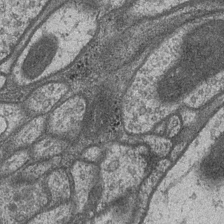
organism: Drosophila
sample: Optic medulla